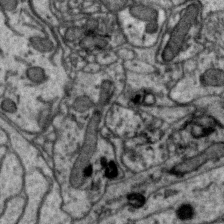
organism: Zebra finch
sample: Brain